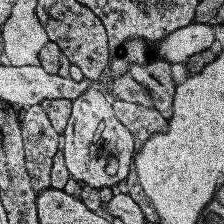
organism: Human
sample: Temporal Lobe